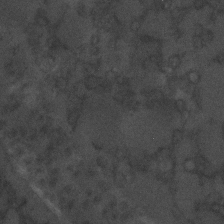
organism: C. elegans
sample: C. elegans embryo